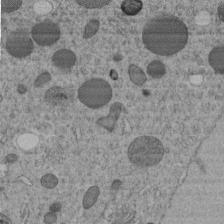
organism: C. elegans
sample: C. elegans embryo early stage